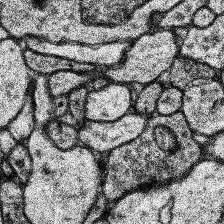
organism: Human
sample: Temporal Lobe